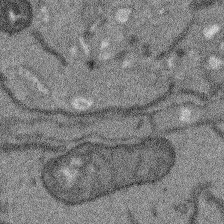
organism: Arabidopsis thaliana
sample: Root tip